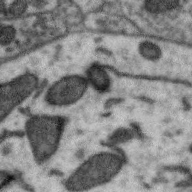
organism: Zebra finch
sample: Brain